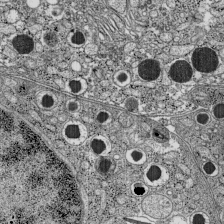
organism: C57BL Mouse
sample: Pancreatic islet